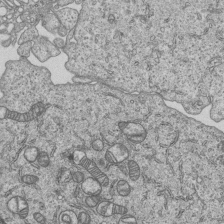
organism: Human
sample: MDA-MB-231 cells